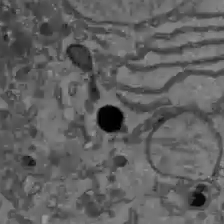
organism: C57BL Mouse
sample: Liver